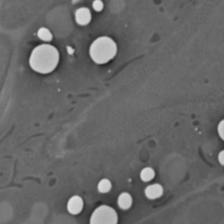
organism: C. elegans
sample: C. elegans embryo